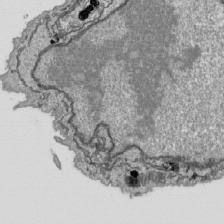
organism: Human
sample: Mitochondria in HCT116 cells